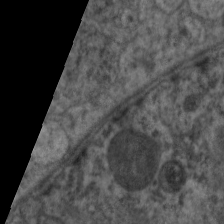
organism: C. elegans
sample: Pharynx